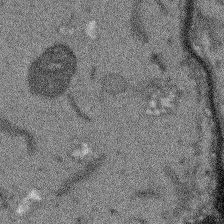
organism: Arabidopsis thaliana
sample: Root tip